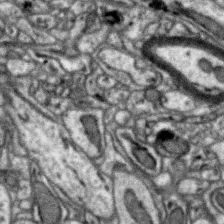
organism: Zebra finch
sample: Brain